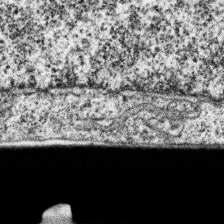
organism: Human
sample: HeLa cells